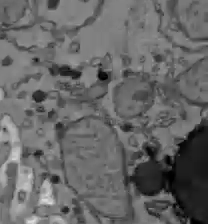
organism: C57BL Mouse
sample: Liver